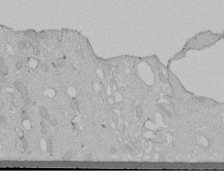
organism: Human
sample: Melanocyte Keratinocyte synapse skin construct